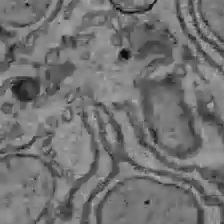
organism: C57BL Mouse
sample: Liver